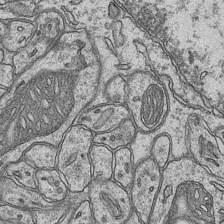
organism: Mouse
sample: CA1 Hippocampus